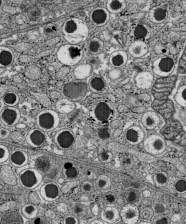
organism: C57BL Mouse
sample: Pancreatic islet